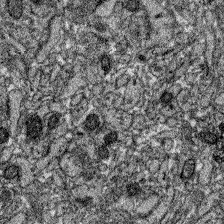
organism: Zebrafish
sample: Larval olfactory bulb